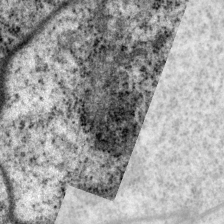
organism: P. pacificus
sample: Pharynx